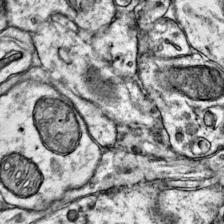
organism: Mouse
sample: Primary visual cortex